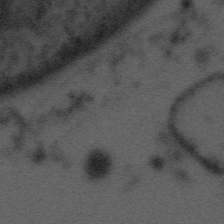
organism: Tuwongella immobilis